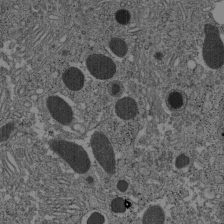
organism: C57BL Mouse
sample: Pancreatic islet